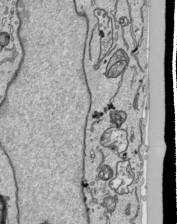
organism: Human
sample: Mitochondria in HCT116 cells